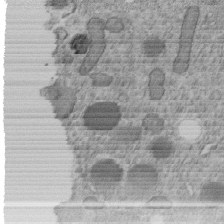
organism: C. elegans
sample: C. elegans embryo early stage